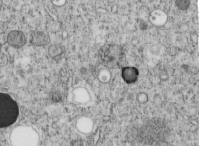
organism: C. elegans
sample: C. elegans embryo early stage